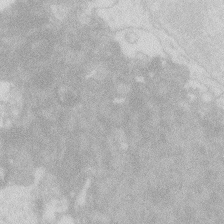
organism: Zebrafish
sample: Macrophage